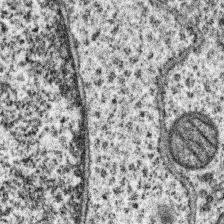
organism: Human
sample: HeLa cells